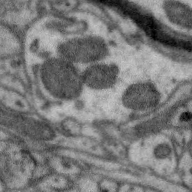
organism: Zebra finch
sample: Brain